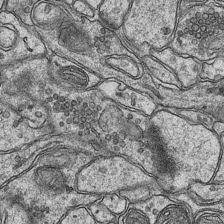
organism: Mouse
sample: CA1 Hippocampus